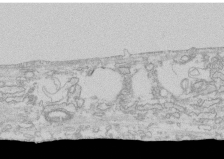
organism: Human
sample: CRL-1474